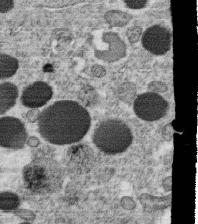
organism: C. elegans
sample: C. elegans oocyte; sperm cells